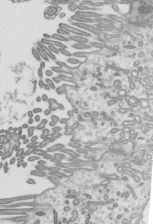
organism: Mouse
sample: Mouse epididymis efferent ductule cilia